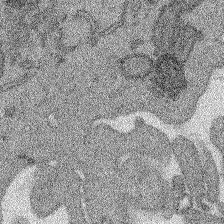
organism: Human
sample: HeLa cells